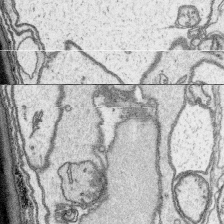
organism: Platynereis dumerilii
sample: Parapodia